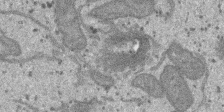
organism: Human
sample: Lung epithelial cells infected with SARS-CoV-2